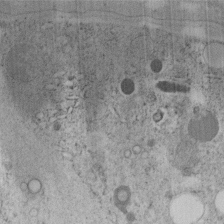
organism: C. elegans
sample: C. elegans embryo early stage